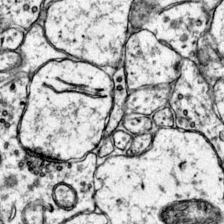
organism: Mouse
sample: Primary visual cortex